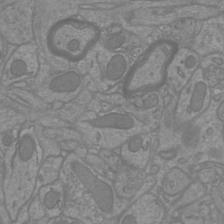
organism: Mouse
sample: Cortical neurons